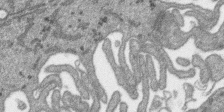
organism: Human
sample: Lung epithelial cells infected with SARS-CoV-2